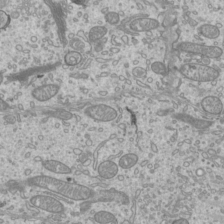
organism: Mouse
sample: Cilia; mouse epididymis